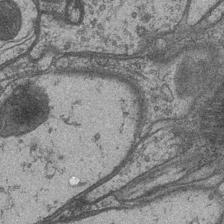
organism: Drosophila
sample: Optic medulla